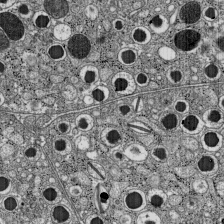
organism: C57BL Mouse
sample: Pancreatic islet